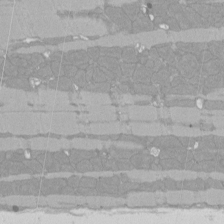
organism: Rat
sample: Left ventricle